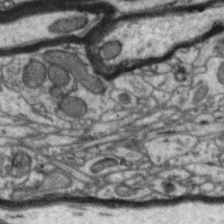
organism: Zebra finch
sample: Brain